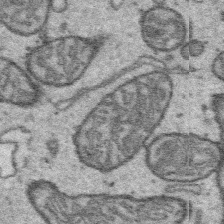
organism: Platynereis dumerilii